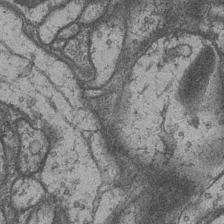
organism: Drosophila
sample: Optic medulla